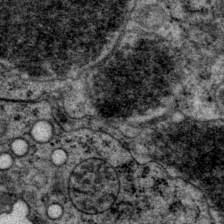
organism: P. pacificus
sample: Pharynx